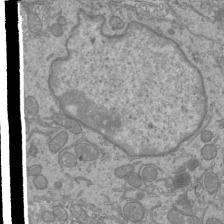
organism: Mouse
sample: Cilia; mouse epididymis